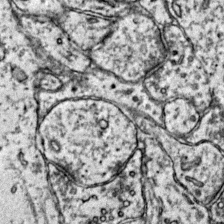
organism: Mouse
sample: Primary visual cortex